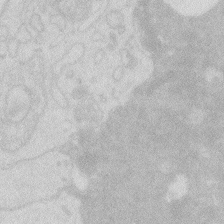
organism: Zebrafish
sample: Macrophage